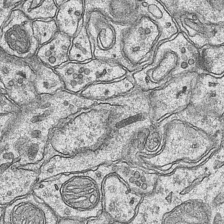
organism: Mouse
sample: CA1 Hippocampus